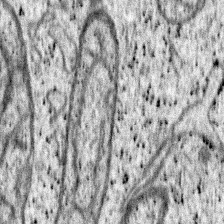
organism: Human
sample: HeLa cells